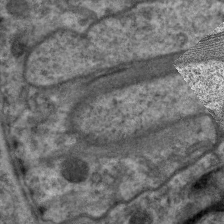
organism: C. elegans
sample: Pharynx